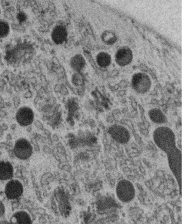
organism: C. elegans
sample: C. elegans oocyte; sperm cells